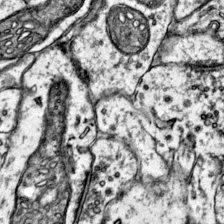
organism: Mouse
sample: Primary visual cortex